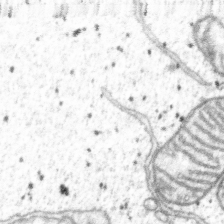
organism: Human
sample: HeLa cells